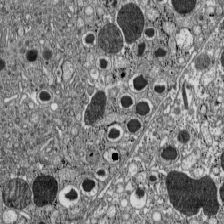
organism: C57BL Mouse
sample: Pancreatic islet